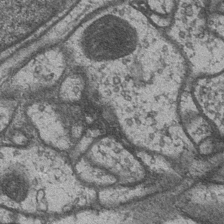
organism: Drosophila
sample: Optic medulla